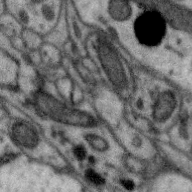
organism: Zebra finch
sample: Brain